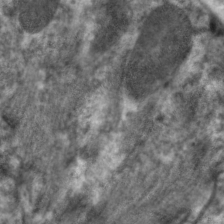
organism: C. elegans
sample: Pharynx